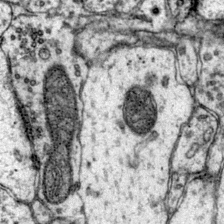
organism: Mouse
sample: Primary visual cortex